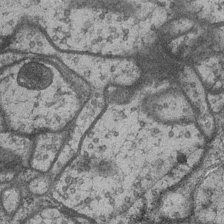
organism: Drosophila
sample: Optic medulla